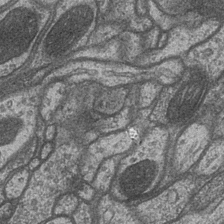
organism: Drosophila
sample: Optic medulla